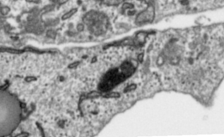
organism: Toxoplasma gondii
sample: Parasites in a vacuole inside a host cell